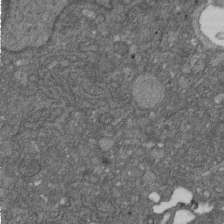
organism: Drosophila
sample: Nephrocyte